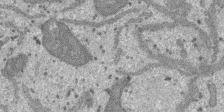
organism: Human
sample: Lung epithelial cells infected with SARS-CoV-2